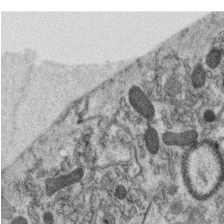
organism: C. elegans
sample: C. elegans oocyte; sperm cells